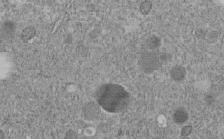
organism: C. elegans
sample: C. elegans embryo early stage